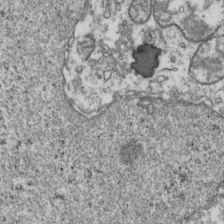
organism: Human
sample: Activated Jurkat CD4+ T cells